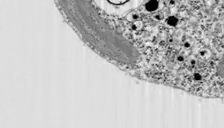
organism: Chlamydomonas reinhardtii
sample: Whole Cell